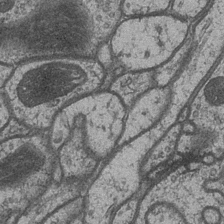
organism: Drosophila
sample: Optic medulla